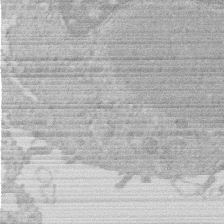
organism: Human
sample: Macrophage cells